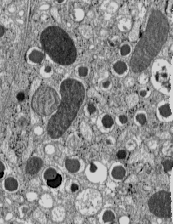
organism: C57BL Mouse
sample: Pancreatic islet